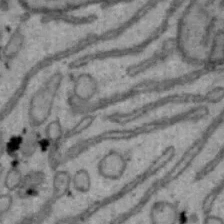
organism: Mouse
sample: Liver